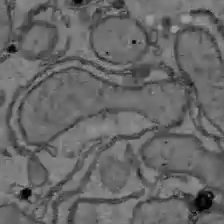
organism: C57BL Mouse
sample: Liver